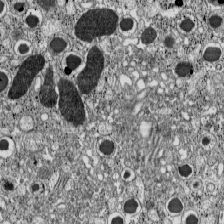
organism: C57BL Mouse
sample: Pancreatic islet